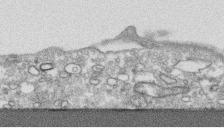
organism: Human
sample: CRL-1474